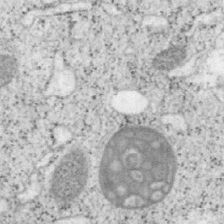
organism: Mouse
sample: OT-I killer T cells with ID8 ovarian cancer cells